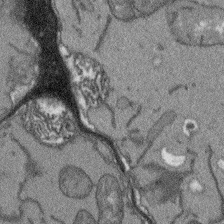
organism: Arabidopsis thaliana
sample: Root tip